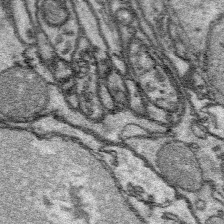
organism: Platynereis dumerilii